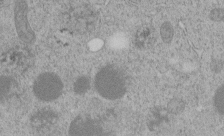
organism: C. elegans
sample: C. elegans embryo early stage